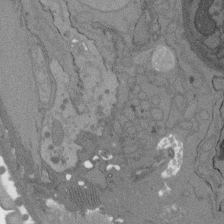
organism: C. elegans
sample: AFD neurons C. elegans